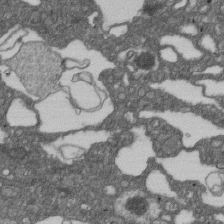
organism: Drosophila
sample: Nephrocyte